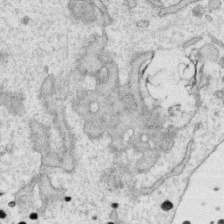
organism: Human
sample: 1205lu cells